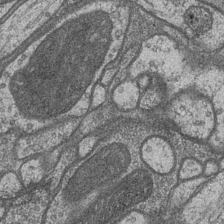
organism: Drosophila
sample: Optic medulla